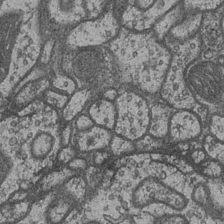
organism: Drosophila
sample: Optic medulla